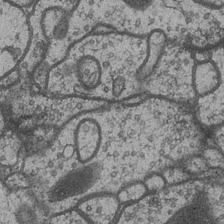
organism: Drosophila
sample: Optic medulla